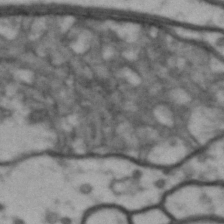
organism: Drosophila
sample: Brain